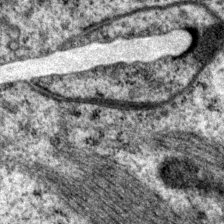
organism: P. pacificus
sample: Pharynx